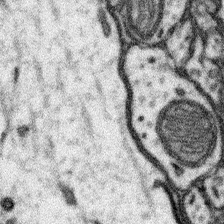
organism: Mouse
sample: Somatosensory cortex neuropil